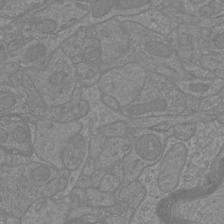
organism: Mouse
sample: Cortical neurons